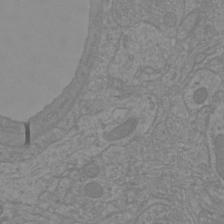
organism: Mouse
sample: Cortical neurons